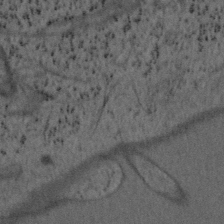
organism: Human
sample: HeLa cells